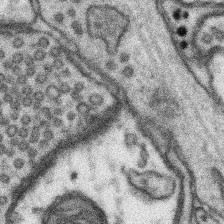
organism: Mouse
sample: Somatosensory cortex neuropil